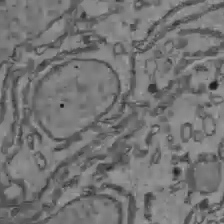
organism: C57BL Mouse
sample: Liver